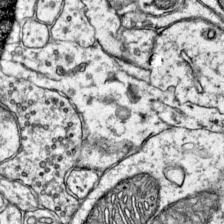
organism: Mouse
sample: Primary visual cortex